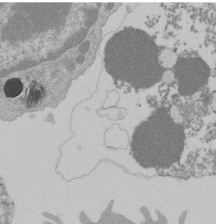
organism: Mouse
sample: Activated Pmel transgenic CD8+ T Cells